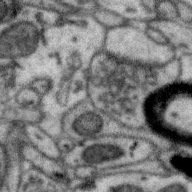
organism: Zebra finch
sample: Brain